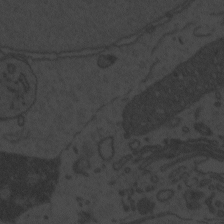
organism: Zebrafish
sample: Macrophage infected with Toxoplasma gondii